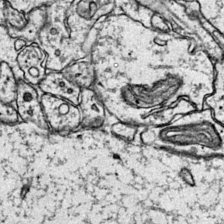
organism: Mouse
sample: Primary visual cortex